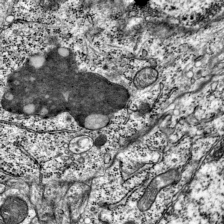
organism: Mouse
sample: Visual Cortex